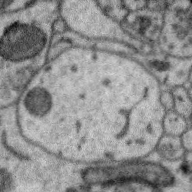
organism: Zebra finch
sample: Brain